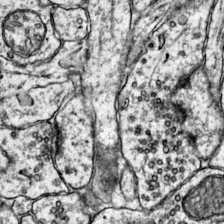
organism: Mouse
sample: Primary visual cortex